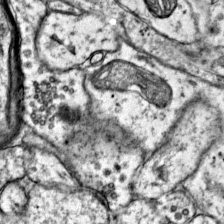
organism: Mouse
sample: Primary visual cortex